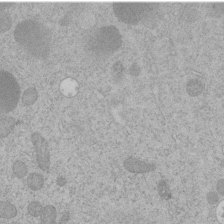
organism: C. elegans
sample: C. elegans embryo early stage